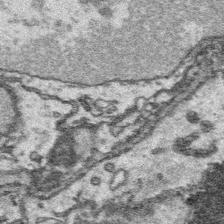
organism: Platynereis dumerilii